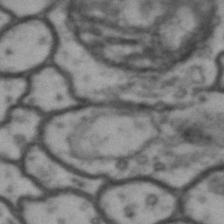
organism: Drosophila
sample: Brain